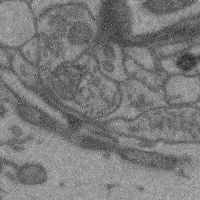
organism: Mouse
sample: Cerebral cortex